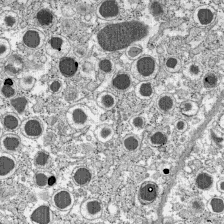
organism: C57BL Mouse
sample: Pancreatic islet